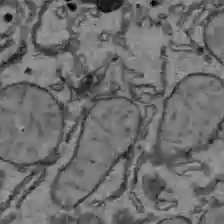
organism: C57BL Mouse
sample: Liver